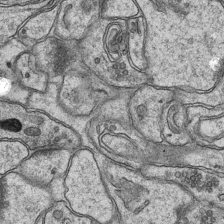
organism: Mouse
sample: CA1 Hippocampus